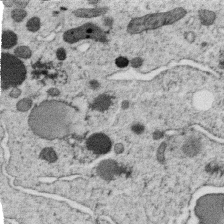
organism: C. elegans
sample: C. elegans oocyte; sperm cells